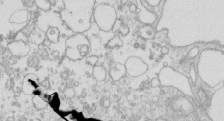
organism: Mouse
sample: Macrophages